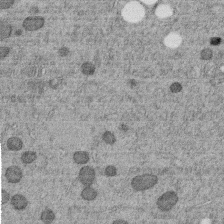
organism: C. elegans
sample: C. elegans embryo early stage